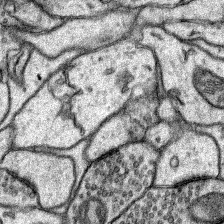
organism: Rat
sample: Hippocampus